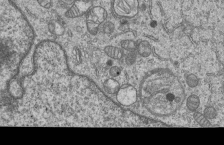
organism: Human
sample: MDA-MB-231 cells